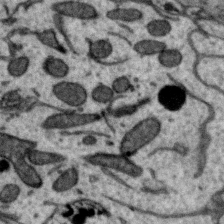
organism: Zebra finch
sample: Brain